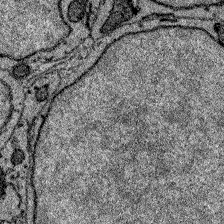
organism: Zebrafish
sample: Larval olfactory bulb